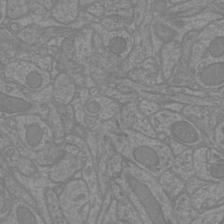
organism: Mouse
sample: Cortical neurons